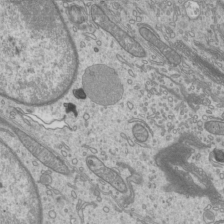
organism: Mouse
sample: Cilia; mouse epididymis